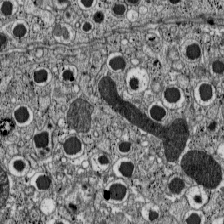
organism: C57BL Mouse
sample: Pancreatic islet